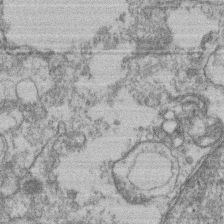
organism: Mouse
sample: T cell stromal cell synapse